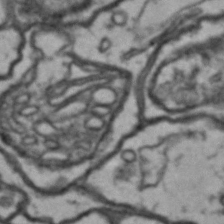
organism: Drosophila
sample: Brain